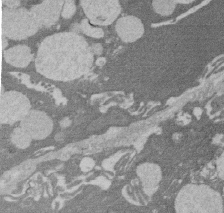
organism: Rat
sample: Salivary granule